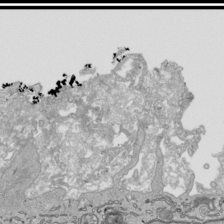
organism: Human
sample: Mitochondria in HCT116 cells